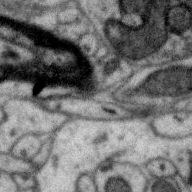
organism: Zebra finch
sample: Brain